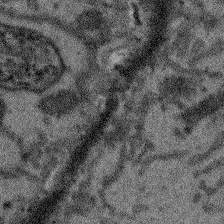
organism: Arabidopsis thaliana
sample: Root tip